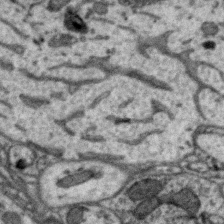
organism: Zebra finch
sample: Brain